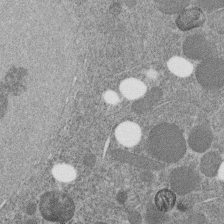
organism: C. elegans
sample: C. elegans embryo early stage